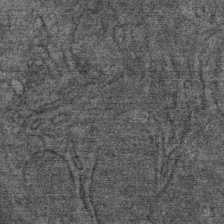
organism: Mouse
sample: Mouse Salivary gland